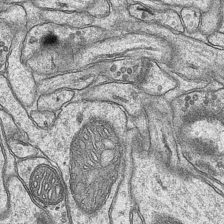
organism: Mouse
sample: CA1 Hippocampus